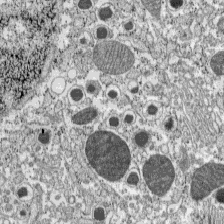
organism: C57BL Mouse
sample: Pancreatic islet